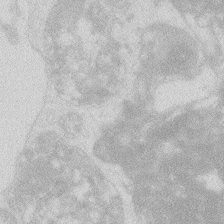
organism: Zebrafish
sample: Macrophage